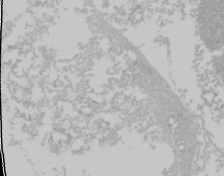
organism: Mouse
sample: Cancer cell death in ED-1 cells